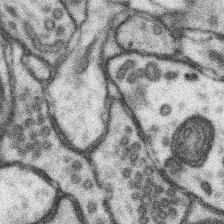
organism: Mouse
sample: Somatosensory cortex neuropil